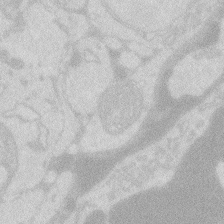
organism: Zebrafish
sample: Macrophage